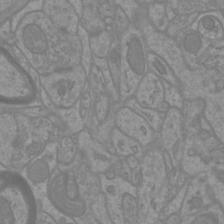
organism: Mouse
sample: Cortical neurons